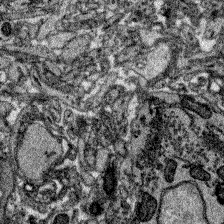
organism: Zebrafish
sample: Larval olfactory bulb